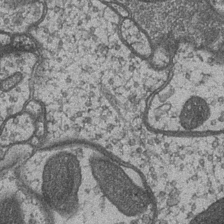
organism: Drosophila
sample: Optic medulla